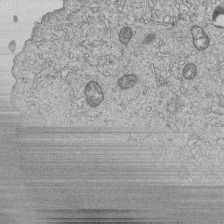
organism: Human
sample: MDA-MB-231 cells